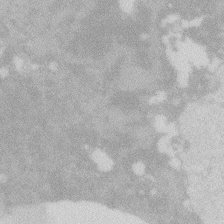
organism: Zebrafish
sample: Macrophage